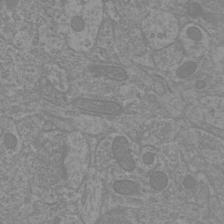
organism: Mouse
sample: Cortical neurons